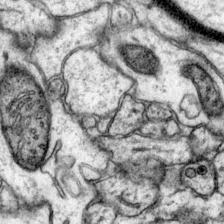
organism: Mouse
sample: Primary visual cortex